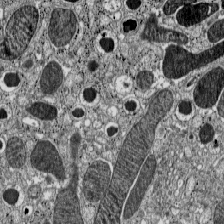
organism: C57BL Mouse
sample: Pancreatic islet